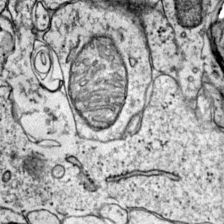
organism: Mouse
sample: Primary visual cortex